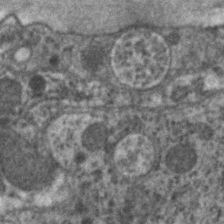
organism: C. elegans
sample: Pharynx